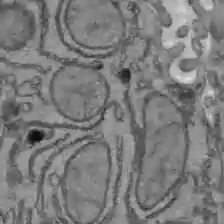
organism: C57BL Mouse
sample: Liver